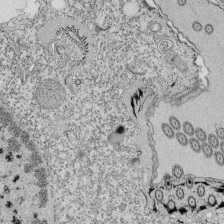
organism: Tetrahymena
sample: Cilia in tetrahymena